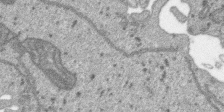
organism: Human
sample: Lung epithelial cells infected with SARS-CoV-2